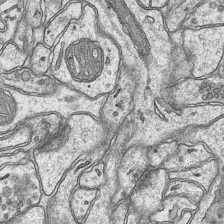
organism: Mouse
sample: CA1 Hippocampus